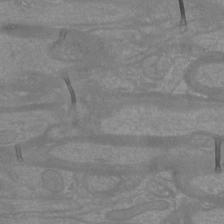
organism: Mouse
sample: Cortical neurons